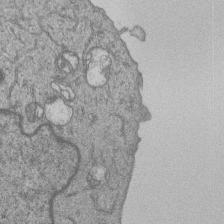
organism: Human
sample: MDA-MB-231 cells